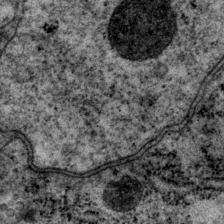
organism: P. pacificus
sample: Pharynx